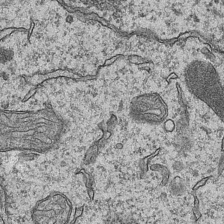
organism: Mouse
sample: CA1 Hippocampus